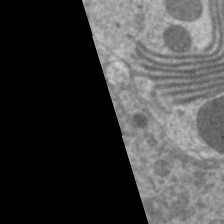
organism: C. elegans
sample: Pharynx